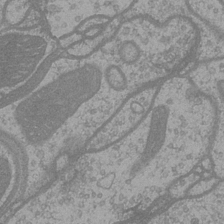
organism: Drosophila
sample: Optic medulla